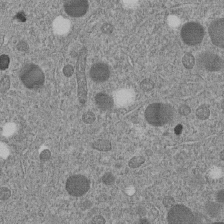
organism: C. elegans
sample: C. elegans embryo early stage